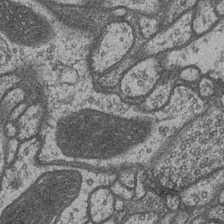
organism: Drosophila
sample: Optic medulla